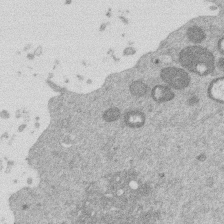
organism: Mouse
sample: Dividing mouse embryo 1 cell stage